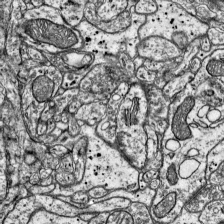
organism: Mouse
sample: Visual Cortex